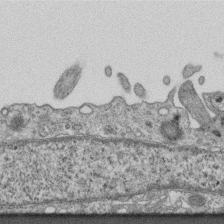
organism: Mouse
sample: Centriole in ependymal cells